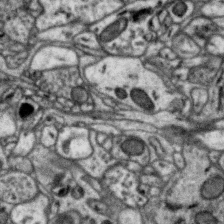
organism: Zebra finch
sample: Brain